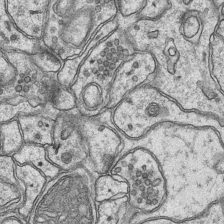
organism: Mouse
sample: CA1 Hippocampus